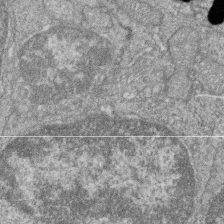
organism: Zebrafish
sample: Cilia; retinal pigment epithelium